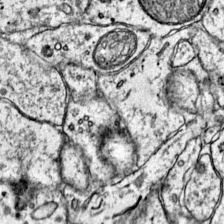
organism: Mouse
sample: Primary visual cortex